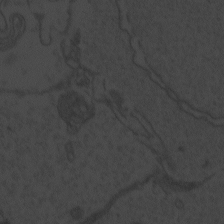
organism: Zebrafish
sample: Macrophage infected with Toxoplasma gondii